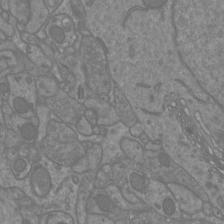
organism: Mouse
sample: Cortical neurons